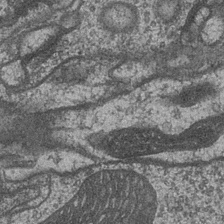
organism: Drosophila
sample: Optic medulla